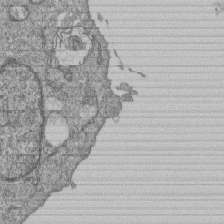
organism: Human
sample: MDA-MB-231 cells